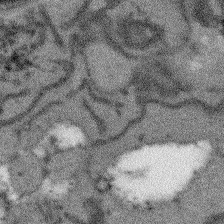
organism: Arabidopsis thaliana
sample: Root tip